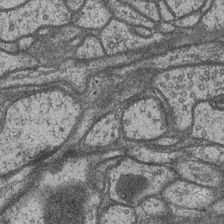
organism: Drosophila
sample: Optic medulla